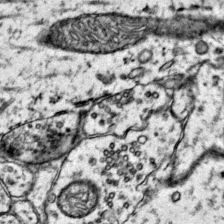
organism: Mouse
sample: Primary visual cortex